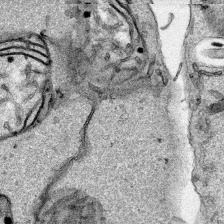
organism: Human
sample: Mitochondria in HCT116 cells